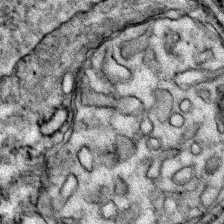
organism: Zebrafish